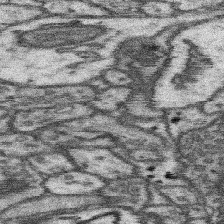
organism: Mouse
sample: Somatosensory cortex neuropil